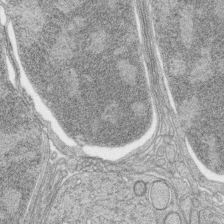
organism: Zebrafish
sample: synaptic ribbons in rod cells and cone cells